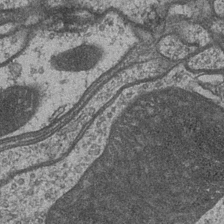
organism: Drosophila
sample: Optic medulla